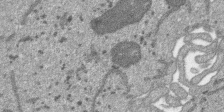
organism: Human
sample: Lung epithelial cells infected with SARS-CoV-2